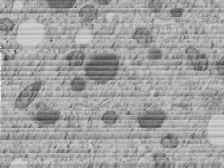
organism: C. elegans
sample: C. elegans embryo early stage